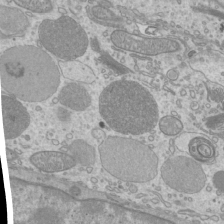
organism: Mouse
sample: Cilia; mouse epididymis